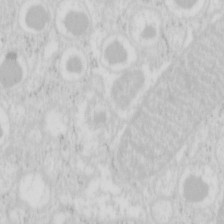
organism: Mouse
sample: Pancreas